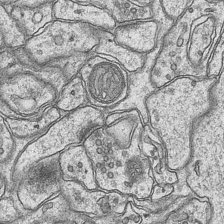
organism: Mouse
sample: CA1 Hippocampus